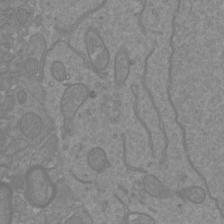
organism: Mouse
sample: Cortical neurons